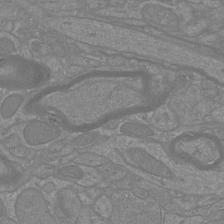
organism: Mouse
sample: Cortical neurons